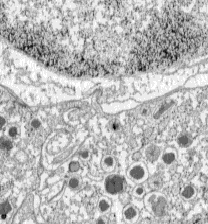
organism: C57BL Mouse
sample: Pancreatic islet